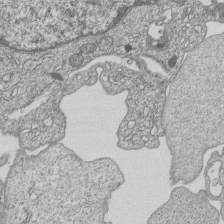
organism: Human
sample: MDA-MB-231 cells